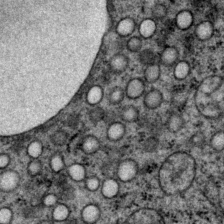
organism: P. pacificus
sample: Pharynx